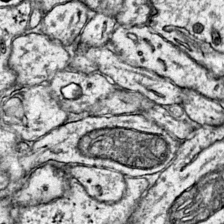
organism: Mouse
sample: Primary visual cortex